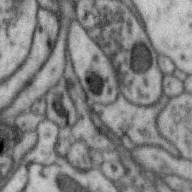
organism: Zebra finch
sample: Brain